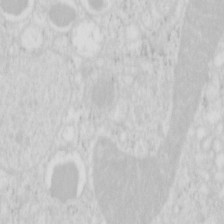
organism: Mouse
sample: Pancreas